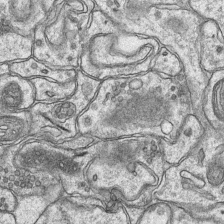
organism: Mouse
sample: CA1 Hippocampus